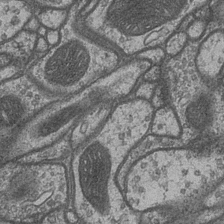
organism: Drosophila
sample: Optic medulla